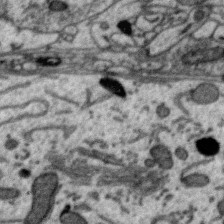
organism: Zebra finch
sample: Brain